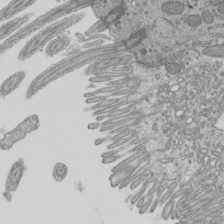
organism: Mouse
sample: Cilia; mouse epididymis